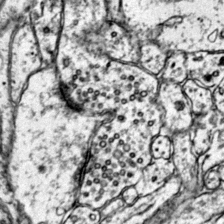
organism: Mouse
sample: Primary visual cortex